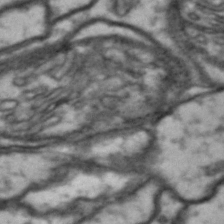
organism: Drosophila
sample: Brain